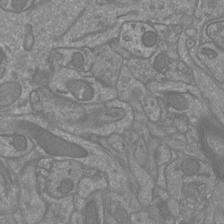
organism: Mouse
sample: Cortical neurons